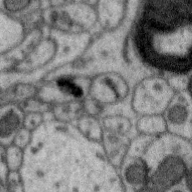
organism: Zebra finch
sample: Brain